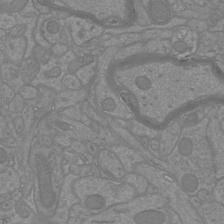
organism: Mouse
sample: Cortical neurons